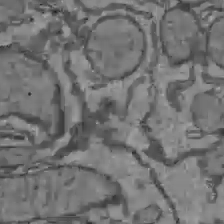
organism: C57BL Mouse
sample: Liver